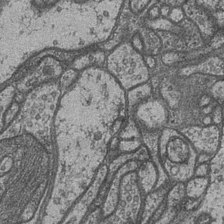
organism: Drosophila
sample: Optic medulla